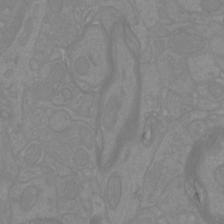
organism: Mouse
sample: Cortical neurons